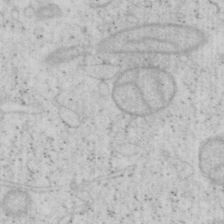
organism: Human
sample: HeLa cells